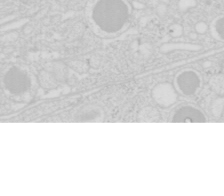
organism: Mouse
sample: Pancreas